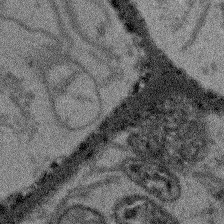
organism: Arabidopsis thaliana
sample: Root tip